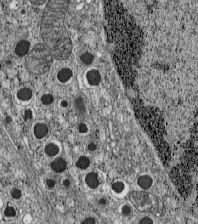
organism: C57BL Mouse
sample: Pancreatic islet